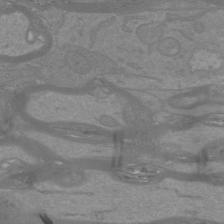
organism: Mouse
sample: Cortical neurons